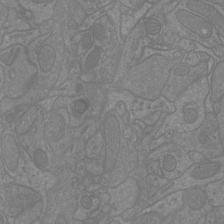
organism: Mouse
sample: Cortical neurons